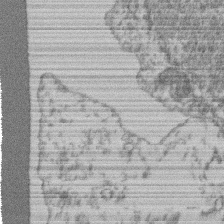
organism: Mouse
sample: T cell stromal cell synapse